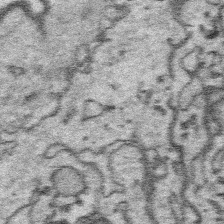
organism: Platynereis dumerilii